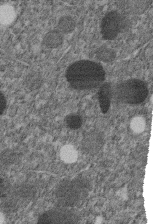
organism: C. elegans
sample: C. elegans embryo early stage